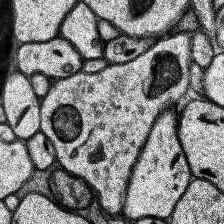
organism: Human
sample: Temporal Lobe